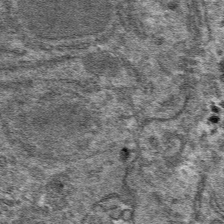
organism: Mouse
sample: Mouse hepatocytes